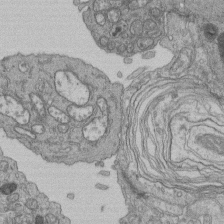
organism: Human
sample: Retinal organoid Rod and Cone cells